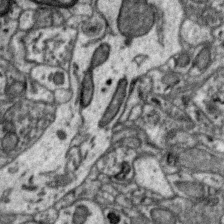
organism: Zebra finch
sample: Brain